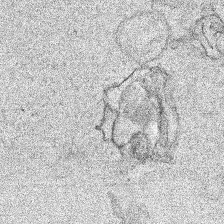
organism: Human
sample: Mitochondria in HCT116 cells